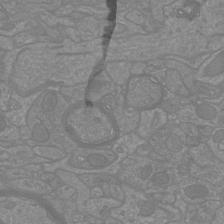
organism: Mouse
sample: Cortical neurons